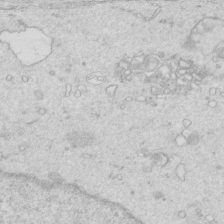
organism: Mouse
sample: Multiciliated cells